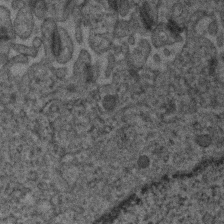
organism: Human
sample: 1205lu cells